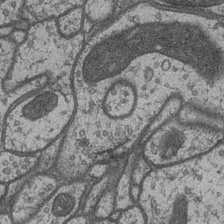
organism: Drosophila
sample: Optic medulla